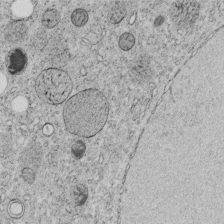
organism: C. elegans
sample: C. elegans embryo early stage